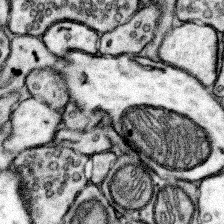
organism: Mouse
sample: Somatosensory cortex neuropil